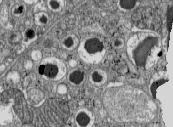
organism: C57BL Mouse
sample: Pancreatic islet